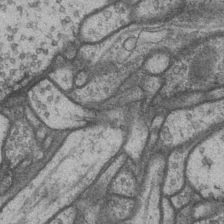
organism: Drosophila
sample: Optic medulla